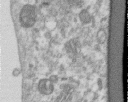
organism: Human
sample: Centriole in RPE cells